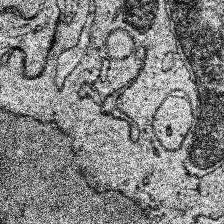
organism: Human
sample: Temporal Lobe